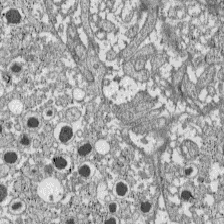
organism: C57BL Mouse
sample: Pancreatic islet